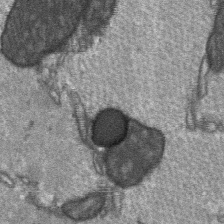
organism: C57BL Mouse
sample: Soleus